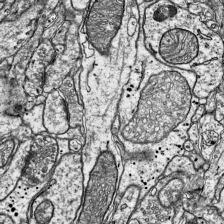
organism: Mouse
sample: Visual Cortex